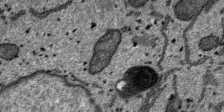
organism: Human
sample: Lung epithelial cells, uninfected (mock) control